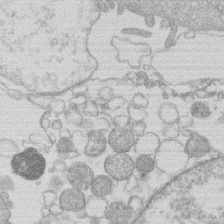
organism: Human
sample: Macrophage cells